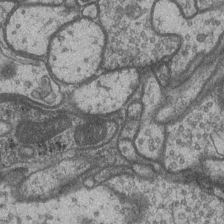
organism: Drosophila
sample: Optic medulla